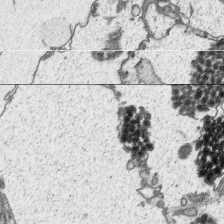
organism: Platynereis dumerilii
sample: Parapodia